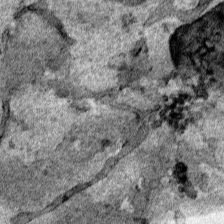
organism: Human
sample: Mitochondria in HCT116 cells